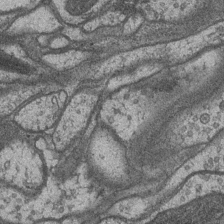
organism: Drosophila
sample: Optic medulla